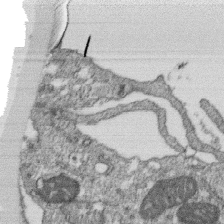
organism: African green monkey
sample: Vero E6 cells infected with SARS-CoV-2